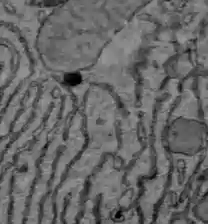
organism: C57BL Mouse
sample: Liver